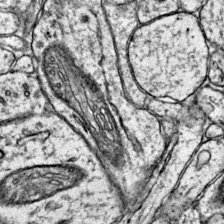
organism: Mouse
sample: Primary visual cortex